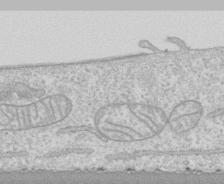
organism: Human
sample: CRL-1474